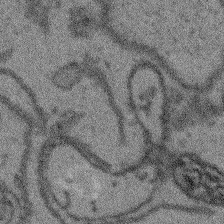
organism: Arabidopsis thaliana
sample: Root tip